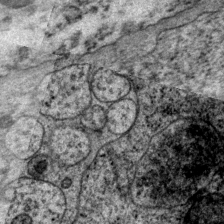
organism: P. pacificus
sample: Pharynx